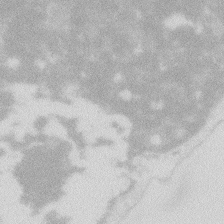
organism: Zebrafish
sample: Macrophage